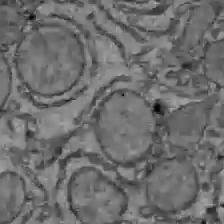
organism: C57BL Mouse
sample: Liver